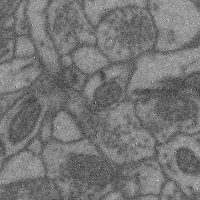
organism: Mouse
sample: Cerebral cortex